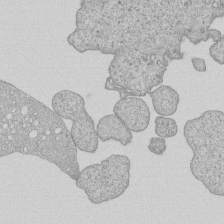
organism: Human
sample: MDA-MB-231 cells